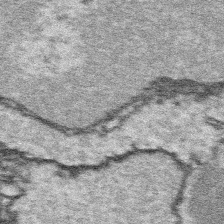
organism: Platynereis dumerilii